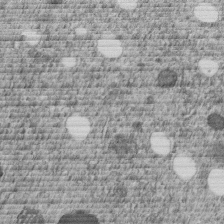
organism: C. elegans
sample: C. elegans embryo early stage